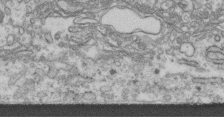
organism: Human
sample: Centriole in fibroblast cells